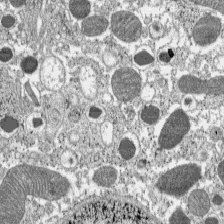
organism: C57BL Mouse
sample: Pancreatic islet